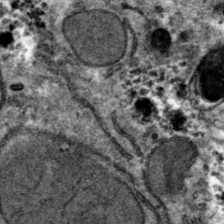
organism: Mouse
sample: Mouse hepatocytes